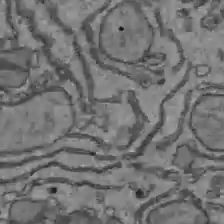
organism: C57BL Mouse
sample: Liver